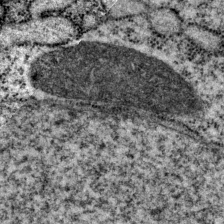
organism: P. pacificus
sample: Pharynx